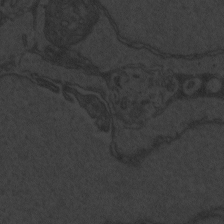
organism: Zebrafish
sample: Macrophage infected with Toxoplasma gondii